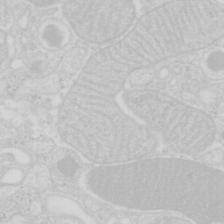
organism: Mouse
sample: Pancreas